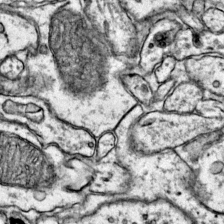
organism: Mouse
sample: Primary visual cortex